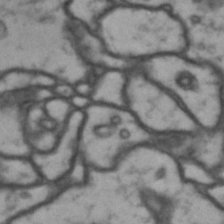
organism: Drosophila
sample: Brain